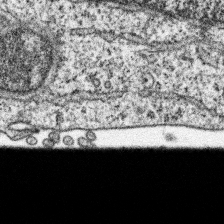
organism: Human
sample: HeLa cells